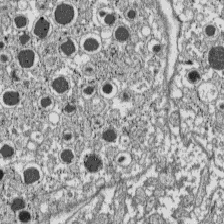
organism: C57BL Mouse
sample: Pancreatic islet